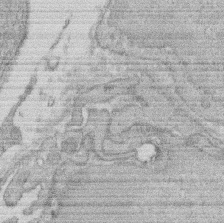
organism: Rat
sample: Salivary granule